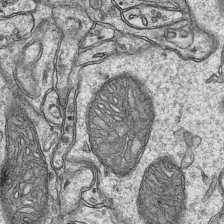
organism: Mouse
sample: CA1 Hippocampus